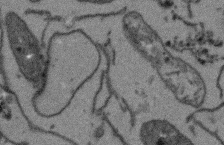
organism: Arabidopsis thaliana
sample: Root tip